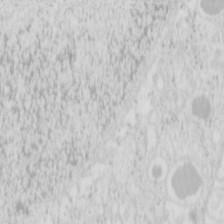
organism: Mouse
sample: Pancreas